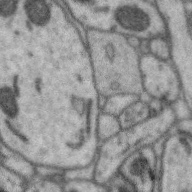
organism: Zebra finch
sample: Brain